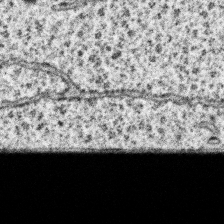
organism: Human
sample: HeLa cells